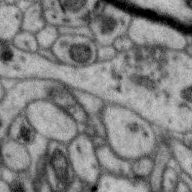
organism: Zebra finch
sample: Brain